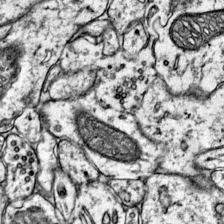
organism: Mouse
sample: Primary visual cortex